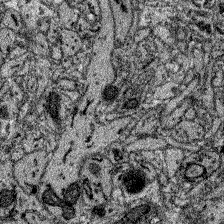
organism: Zebrafish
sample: Larval olfactory bulb